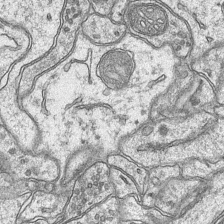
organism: Mouse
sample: CA1 Hippocampus